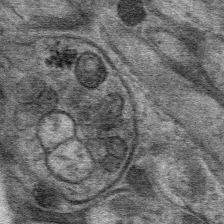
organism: Mouse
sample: Mouse Salivary gland